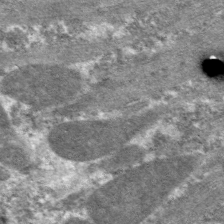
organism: C. elegans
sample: Pharynx